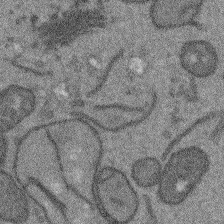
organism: Arabidopsis thaliana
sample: Root tip